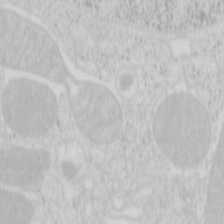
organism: Mouse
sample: Pancreas